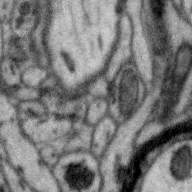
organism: Zebra finch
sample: Brain